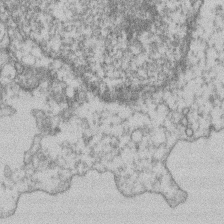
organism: Mouse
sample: T cell stromal cell synapse